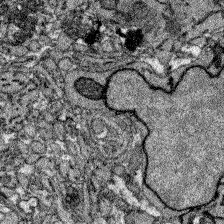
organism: Zebrafish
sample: Larval olfactory bulb